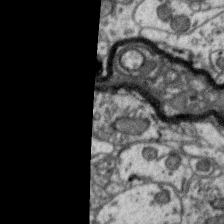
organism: Zebra finch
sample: Brain